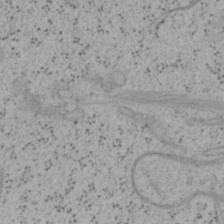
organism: Human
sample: HeLa cells